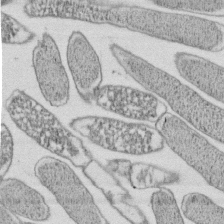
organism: E. coli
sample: Bacterial nucleoid